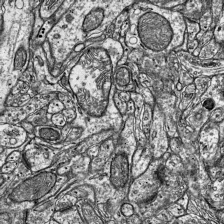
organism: Mouse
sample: Visual Cortex